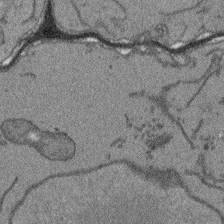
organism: Arabidopsis thaliana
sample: Root tip